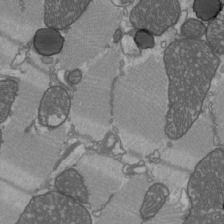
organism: C57BL Mouse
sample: Heart